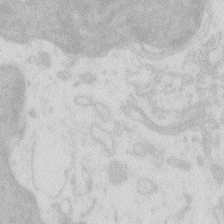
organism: Zebrafish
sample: Macrophage